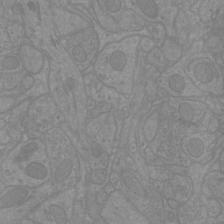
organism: Mouse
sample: Cortical neurons